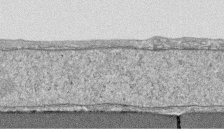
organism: Human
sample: CRL-1474